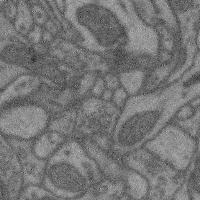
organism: Mouse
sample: Cerebral cortex